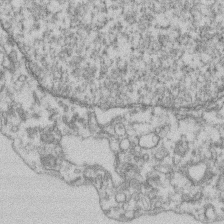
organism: Mouse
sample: T cell stromal cell synapse